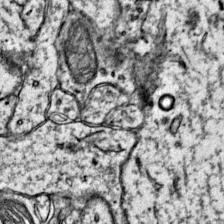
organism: Mouse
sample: Primary visual cortex